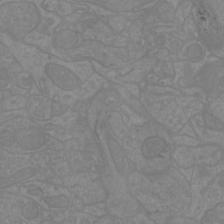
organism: Mouse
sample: Cortical neurons